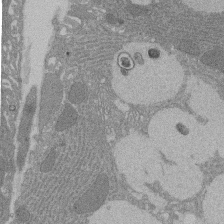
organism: Rat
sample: Salivary granule